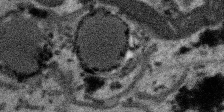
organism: Human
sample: Lung epithelial cells infected with SARS-CoV-2